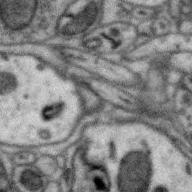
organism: Zebra finch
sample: Brain